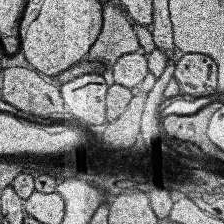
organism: Human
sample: Temporal Lobe